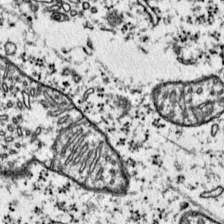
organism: Mouse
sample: Primary visual cortex